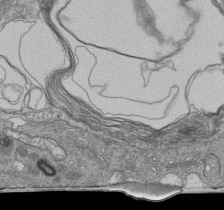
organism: Human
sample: Retinal organoid Rod and Cone cells